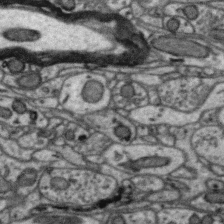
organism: Zebra finch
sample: Brain